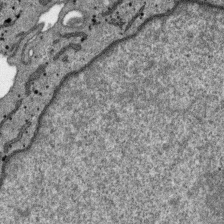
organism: Human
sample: Lung epithelial cells, uninfected (mock) control